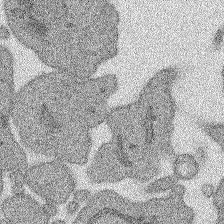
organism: Human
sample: HeLa cells